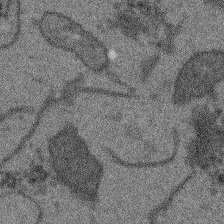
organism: Arabidopsis thaliana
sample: Root tip